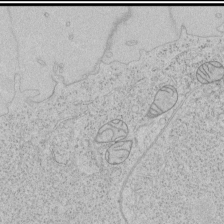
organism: Human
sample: Mitochondria in HCT116 cells